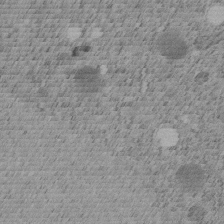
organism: C. elegans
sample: C. elegans embryo early stage